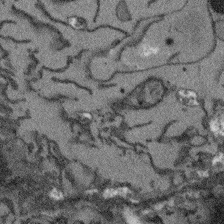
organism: Arabidopsis thaliana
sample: Root tip